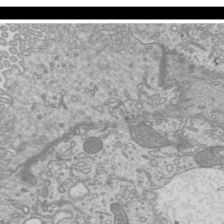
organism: Mouse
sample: Cilia; mouse epididymis